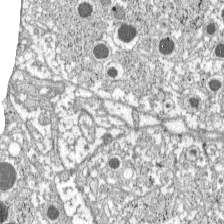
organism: C57BL Mouse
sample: Pancreatic islet